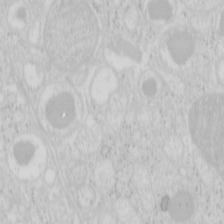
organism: Mouse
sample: Pancreas